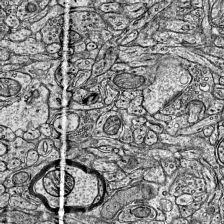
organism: Mouse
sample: Visual Cortex